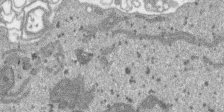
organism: Human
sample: Lung epithelial cells infected with SARS-CoV-2